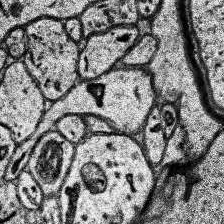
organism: Human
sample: Temporal Lobe